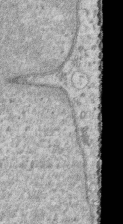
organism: Human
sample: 1205lu cells